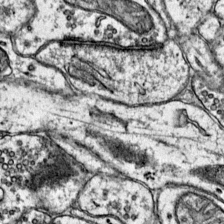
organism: Mouse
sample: Primary visual cortex